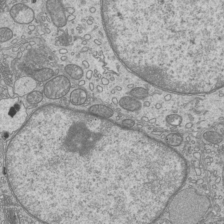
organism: Mouse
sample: Cilia; mouse epididymis